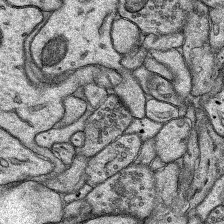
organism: Rat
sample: Hippocampus